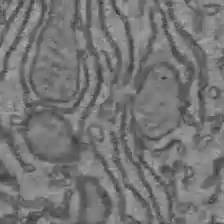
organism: C57BL Mouse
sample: Liver